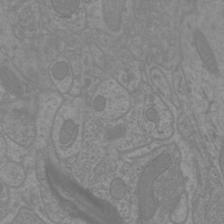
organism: Mouse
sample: Cortical neurons